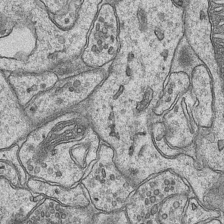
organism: Mouse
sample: CA1 Hippocampus